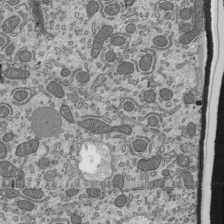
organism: Mouse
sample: Mouse epididymis efferent ductule cilia